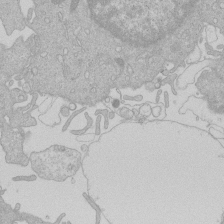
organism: Human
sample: Macrophage cells